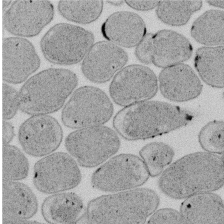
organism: E. coli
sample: Bacterial nucleoid